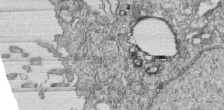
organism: Human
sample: HeLa cell HIV synapse